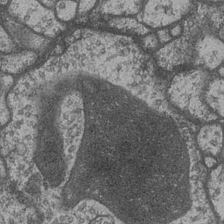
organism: Drosophila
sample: Optic medulla